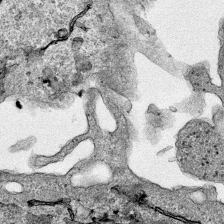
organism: Human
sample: Mitochondria in HCT116 cells